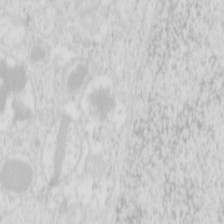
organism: Mouse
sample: Pancreas